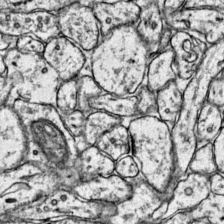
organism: Mouse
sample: Primary visual cortex